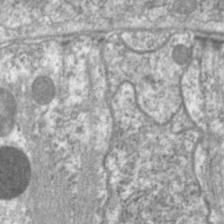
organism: C. elegans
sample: Pharynx